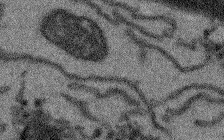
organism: Arabidopsis thaliana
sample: Root tip